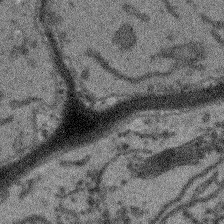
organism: Arabidopsis thaliana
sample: Root tip